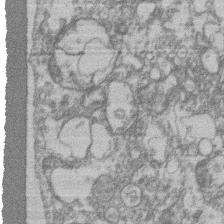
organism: Mouse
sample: T cell stromal cell synapse